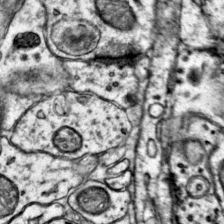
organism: Mouse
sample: Primary visual cortex